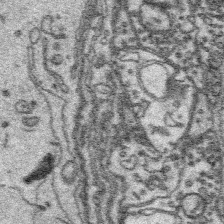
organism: Platynereis dumerilii